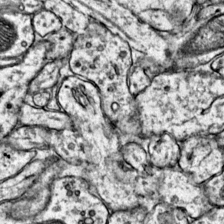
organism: Mouse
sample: Primary visual cortex